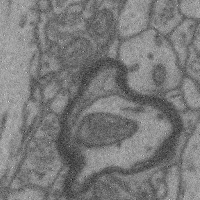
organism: Mouse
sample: Cerebral cortex